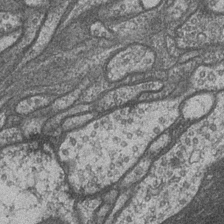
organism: Drosophila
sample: Optic medulla